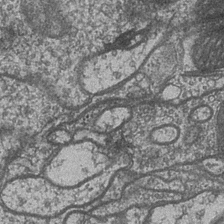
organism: Drosophila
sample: Optic medulla